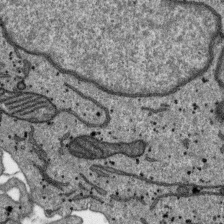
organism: Human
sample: Lung epithelial cells, uninfected (mock) control